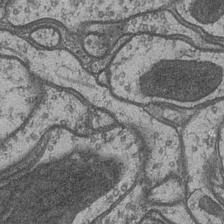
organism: Drosophila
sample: Optic medulla